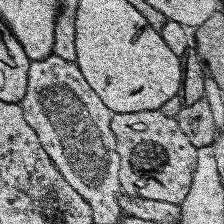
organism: Human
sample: Temporal Lobe